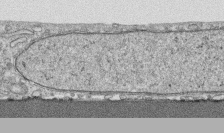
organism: Human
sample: CRL-1474